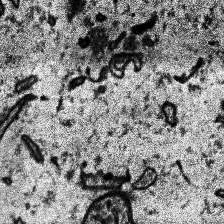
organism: Human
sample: Temporal Lobe